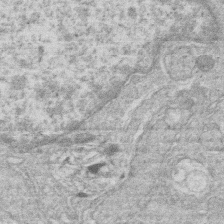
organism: Human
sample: Macrophage cells